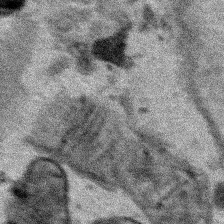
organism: Human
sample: Mitochondria in HCT116 cells